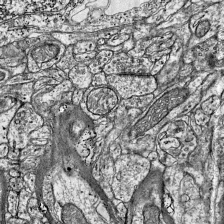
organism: Mouse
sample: Visual Cortex